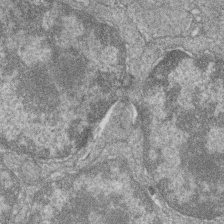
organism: Zebrafish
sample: Cilia; retinal pigment epithelium